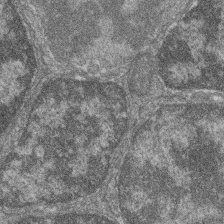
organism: Zebrafish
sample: Cilia; retinal pigment epithelium